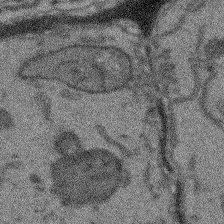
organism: Arabidopsis thaliana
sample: Root tip